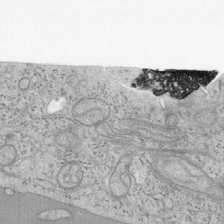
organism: Human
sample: HeLa cells